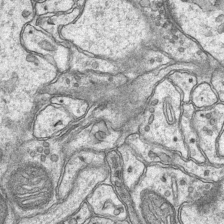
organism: Mouse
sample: CA1 Hippocampus